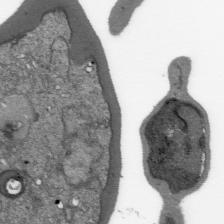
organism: Plasmodium falciparum